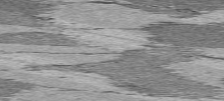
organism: C57BL Mouse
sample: Heart